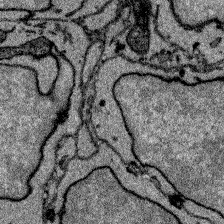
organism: Zebrafish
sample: Larval olfactory bulb